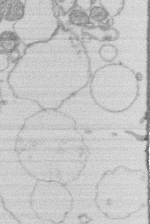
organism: Human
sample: Macrophage cells